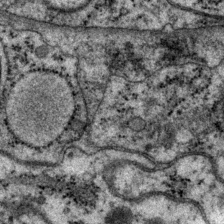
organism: P. pacificus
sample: Pharynx